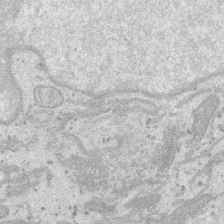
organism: Human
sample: Lung epithelial cells infected with SARS-CoV-2